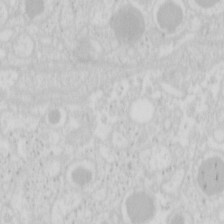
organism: Mouse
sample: Pancreas